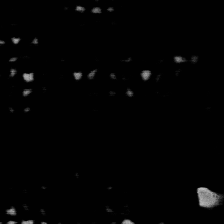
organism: Human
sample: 1205lu cells